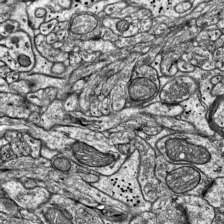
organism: Mouse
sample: Visual Cortex